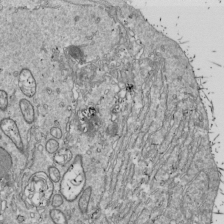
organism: Drosophila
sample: Cell division; meiosis; drosophila spermatocytes